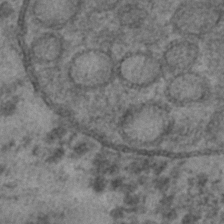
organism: C. elegans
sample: C. elegans embryo